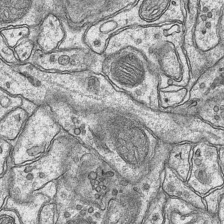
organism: Mouse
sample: CA1 Hippocampus